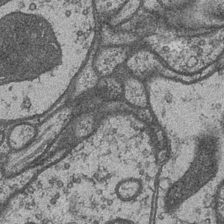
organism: Drosophila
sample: Optic medulla